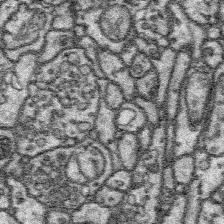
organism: Platynereis dumerilii